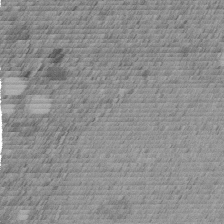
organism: C. elegans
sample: C. elegans embryo early stage